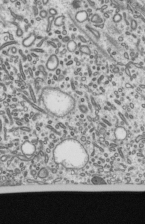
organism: Mouse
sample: Mouse epididymis efferent ductule cilia